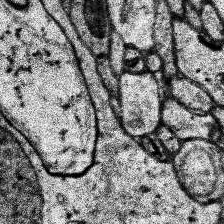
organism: Human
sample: Temporal Lobe